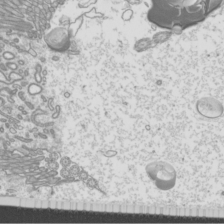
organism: Mouse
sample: Cilia; mouse epididymis